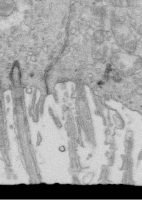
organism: Mouse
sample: Multiciliated cells